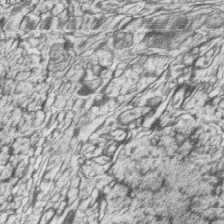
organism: Zebrafish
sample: synaptic ribbons in rod cells and cone cells